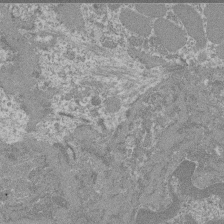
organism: Mouse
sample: Glomerulus